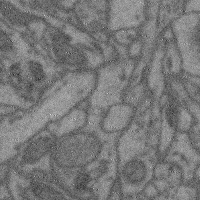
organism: Mouse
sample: Cerebral cortex